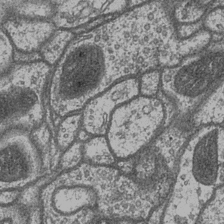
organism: Drosophila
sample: Optic medulla